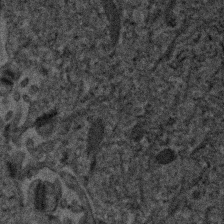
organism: Human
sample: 1205lu cells